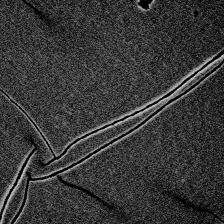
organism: Zebrafish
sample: Whole-Brain